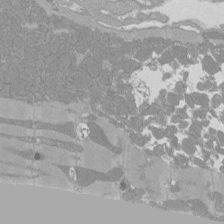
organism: Rat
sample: Left ventricle